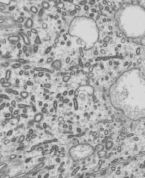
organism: Mouse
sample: Mouse epididymis efferent ductule cilia